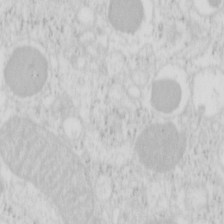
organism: Mouse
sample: Pancreas